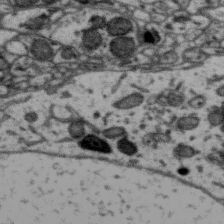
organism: Zebra finch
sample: Brain